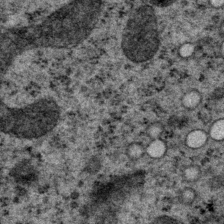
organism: P. pacificus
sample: Pharynx